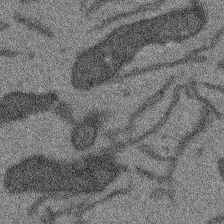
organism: Arabidopsis thaliana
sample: Root tip